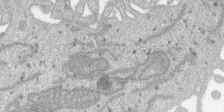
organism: Human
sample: Lung epithelial cells infected with SARS-CoV-2